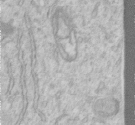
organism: Human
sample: Centriole in RPE cells